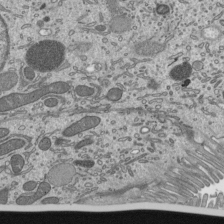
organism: Mouse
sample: Mouse epididymis efferent ductule cilia